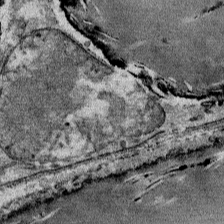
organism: Mouse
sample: Mouse Salivary gland